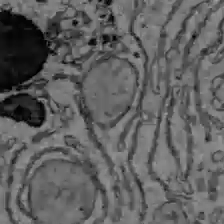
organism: C57BL Mouse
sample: Liver